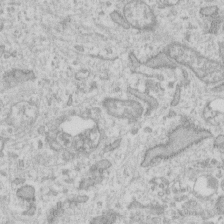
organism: Human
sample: Fibroblast cells